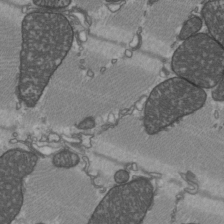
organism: C57BL Mouse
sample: Heart